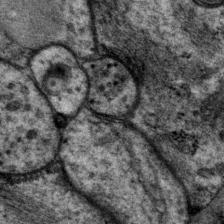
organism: P. pacificus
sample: Pharynx